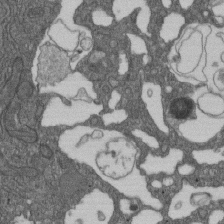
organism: Drosophila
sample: Nephrocyte